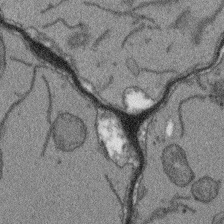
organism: Arabidopsis thaliana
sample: Root tip